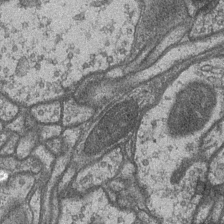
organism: Drosophila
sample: Optic medulla